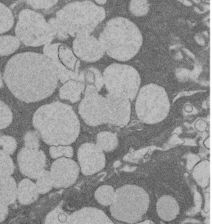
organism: Rat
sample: Salivary granule